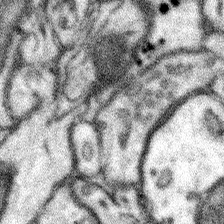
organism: Mouse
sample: Somatosensory cortex neuropil